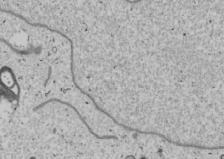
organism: Human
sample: Mitochondria in U2OS cells